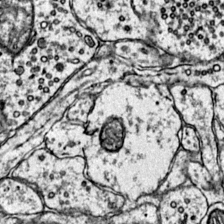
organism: Mouse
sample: Primary visual cortex